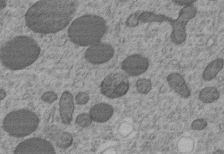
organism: C. elegans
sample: C. elegans embryo early stage